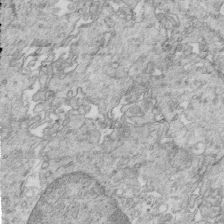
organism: Mouse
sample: Multiciliated cells